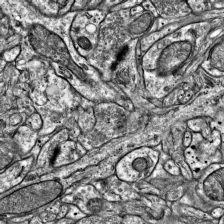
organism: Mouse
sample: Visual Cortex